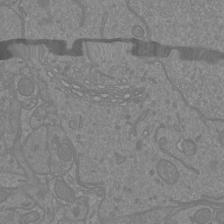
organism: Mouse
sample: Cortical neurons